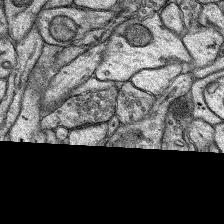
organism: Rat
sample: Hippocampus